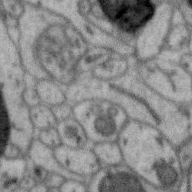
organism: Zebra finch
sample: Brain